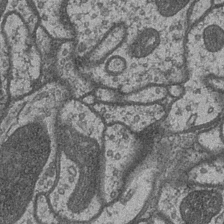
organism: Drosophila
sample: Optic medulla